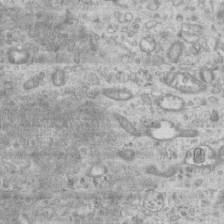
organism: Mouse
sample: Centriole in ependymal cells